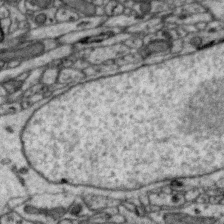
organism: Zebra finch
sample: Brain